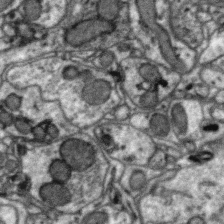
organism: Zebra finch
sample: Brain